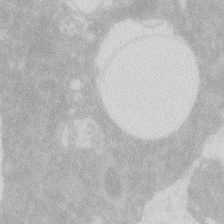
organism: Zebrafish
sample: Macrophage